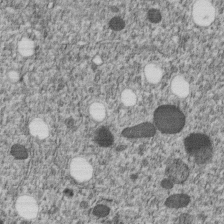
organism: C. elegans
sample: C. elegans embryo early stage